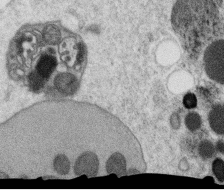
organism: C. elegans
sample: C. elegans oocyte; sperm cells